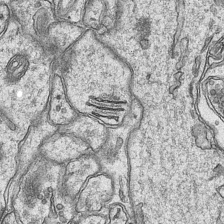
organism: Mouse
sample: CA1 Hippocampus